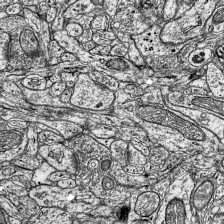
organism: Mouse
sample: Visual Cortex